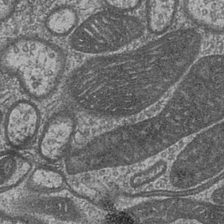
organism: Drosophila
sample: Optic medulla